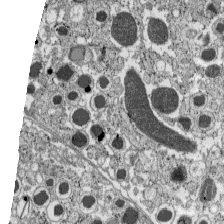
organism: C57BL Mouse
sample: Pancreatic islet